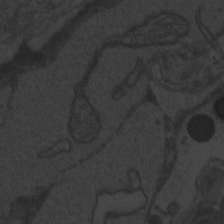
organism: Zebrafish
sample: Macrophage infected with Toxoplasma gondii